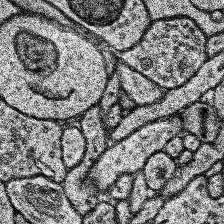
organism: Human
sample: Temporal Lobe